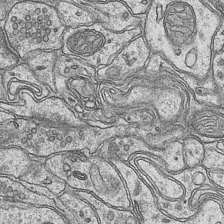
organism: Mouse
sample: CA1 Hippocampus